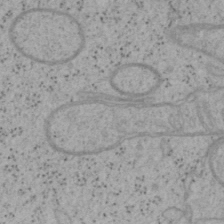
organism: Human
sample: HeLa cells